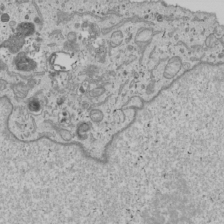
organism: Human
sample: Mitochondria in U2OS cells